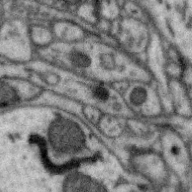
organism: Zebra finch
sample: Brain